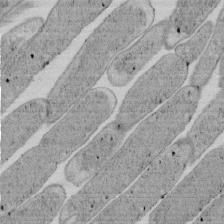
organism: E. coli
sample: Bacterial nucleoid